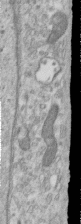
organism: Human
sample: Centriole in RPE cells